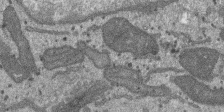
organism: Human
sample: Lung epithelial cells infected with SARS-CoV-2